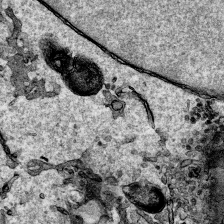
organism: Human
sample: Mitochondria in HCT116 cells